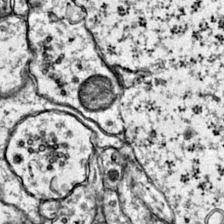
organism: Mouse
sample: Primary visual cortex